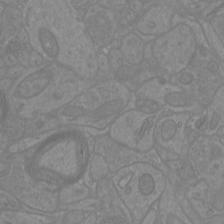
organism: Mouse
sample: Cortical neurons